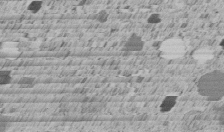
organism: C. elegans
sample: C. elegans embryo early stage